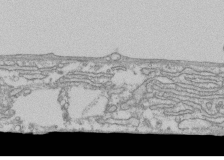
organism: Human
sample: Fibroblast cells